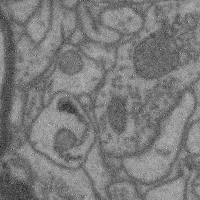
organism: Mouse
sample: Cerebral cortex